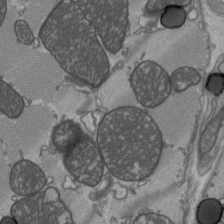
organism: C57BL Mouse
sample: Heart